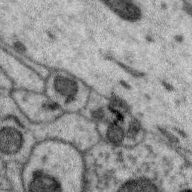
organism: Zebra finch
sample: Brain